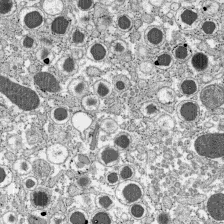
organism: C57BL Mouse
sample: Pancreatic islet